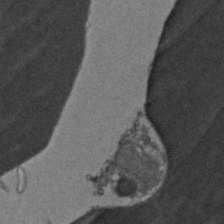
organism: Zebrafish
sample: Zebrafish embryo